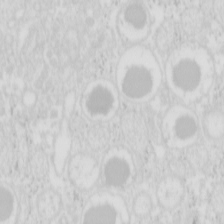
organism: Mouse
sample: Pancreas